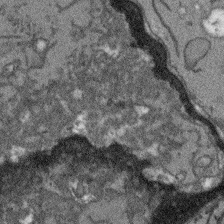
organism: Arabidopsis thaliana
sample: Root tip